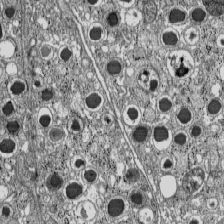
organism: C57BL Mouse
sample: Pancreatic islet